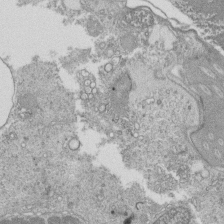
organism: Tetrahymena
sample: Cilia in tetrahymena